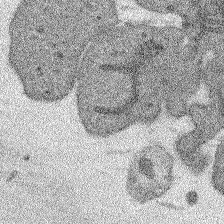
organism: Human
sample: HeLa cells